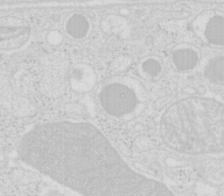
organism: Mouse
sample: Pancreas